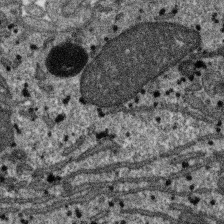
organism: Human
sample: Lung epithelial cells infected with SARS-CoV-2